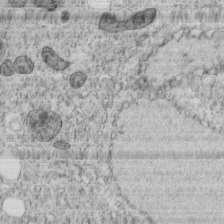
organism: C. elegans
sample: C. elegans embryo early stage